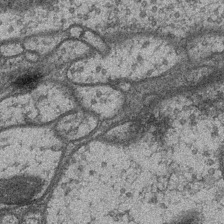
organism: Drosophila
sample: Optic medulla